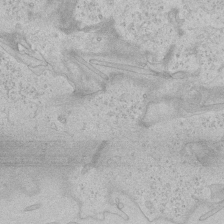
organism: Human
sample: Mitochondria in HCT116 cells